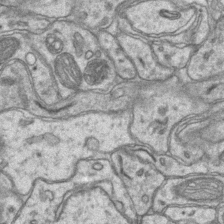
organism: Mouse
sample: CA1 Hippocampus